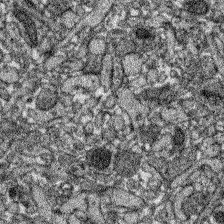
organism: Zebrafish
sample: Larval olfactory bulb